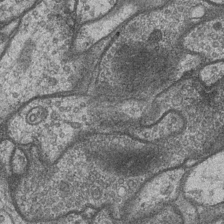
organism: Drosophila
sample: Optic medulla